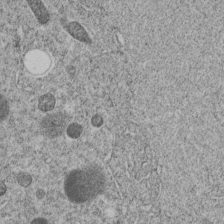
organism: C. elegans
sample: C. elegans embryo early stage